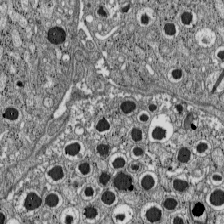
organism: C57BL Mouse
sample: Pancreatic islet